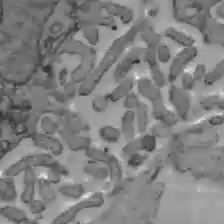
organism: C57BL Mouse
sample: Liver